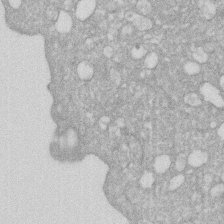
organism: Human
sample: HIV infected U937 cells